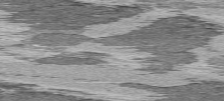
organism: C57BL Mouse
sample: Heart